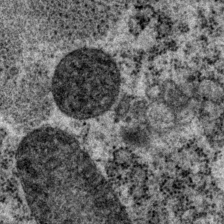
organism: P. pacificus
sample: Pharynx